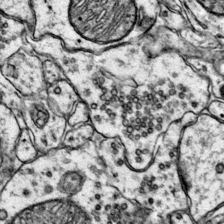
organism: Mouse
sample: Primary visual cortex